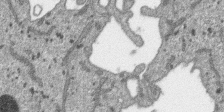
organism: Human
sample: Lung epithelial cells infected with SARS-CoV-2